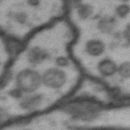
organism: Drosophila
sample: Brain